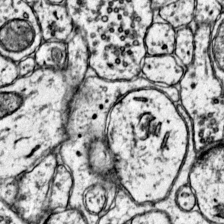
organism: Mouse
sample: Primary visual cortex